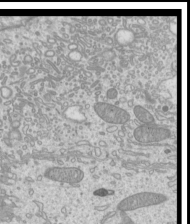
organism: Mouse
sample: Cilia; mouse epididymis